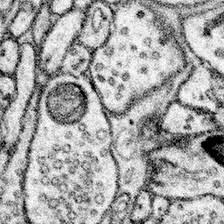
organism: Mouse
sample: Somatosensory cortex neuropil